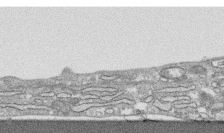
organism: Human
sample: CRL-1474